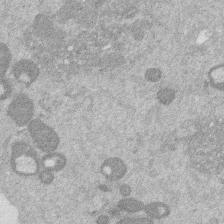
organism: Mouse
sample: Dividing mouse embryo 1 cell stage